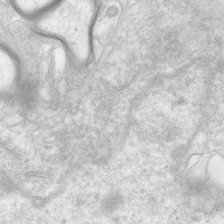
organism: Human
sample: Neocortex